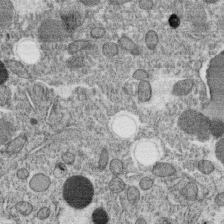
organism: C. elegans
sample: C. elegans oocyte; sperm cells